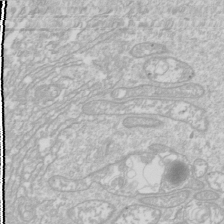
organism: Drosophila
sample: Cell division; meiosis; drosophila spermatocytes